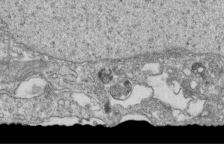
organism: Human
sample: HeLa cell HIV synapse